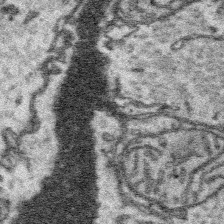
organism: Platynereis dumerilii